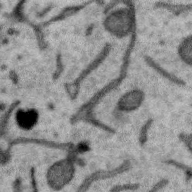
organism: Zebra finch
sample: Brain